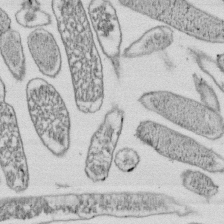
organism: E. coli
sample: Bacterial nucleoid